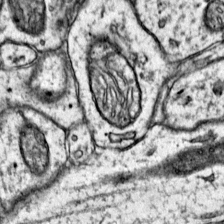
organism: Mouse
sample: Primary visual cortex